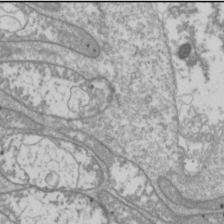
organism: Drosophila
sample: Cell division; meiosis; drosophila spermatocytes